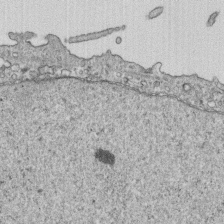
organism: Human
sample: HeLa cell HIV synapse